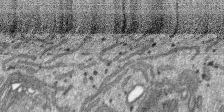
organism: Human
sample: Lung epithelial cells infected with SARS-CoV-2